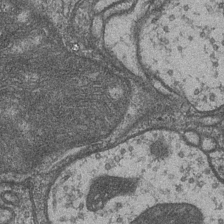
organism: Drosophila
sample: Optic medulla